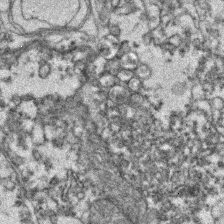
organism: Zebrafish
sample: Zebrafish embryo